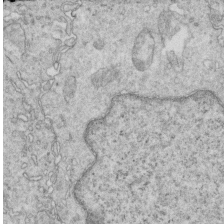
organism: Mouse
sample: Multiciliated cells